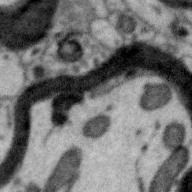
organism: Zebra finch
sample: Brain